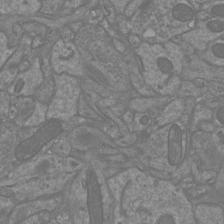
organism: Mouse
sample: Cortical neurons